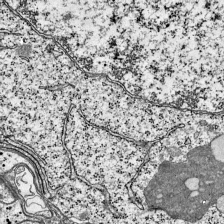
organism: Mouse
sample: Visual Cortex